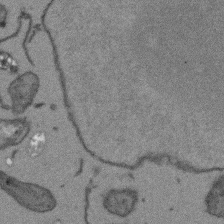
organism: Arabidopsis thaliana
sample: Root tip